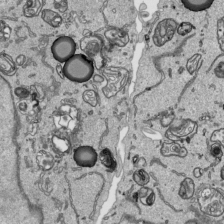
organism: Human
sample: Mitochondria in HCT116 cells